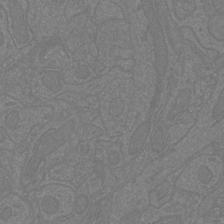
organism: Mouse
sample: Cortical neurons